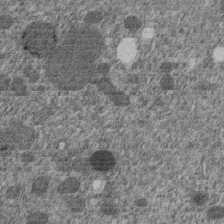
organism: C. elegans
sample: C. elegans embryo early stage